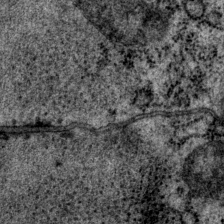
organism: P. pacificus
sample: Pharynx